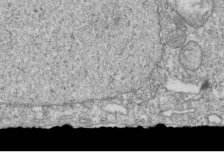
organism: Human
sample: HeLa cell HIV synapse